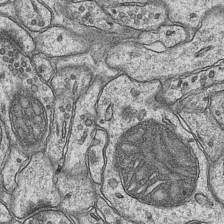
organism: Mouse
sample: CA1 Hippocampus